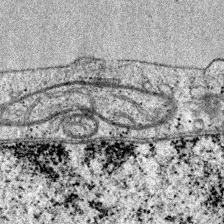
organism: Human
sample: HeLa cells